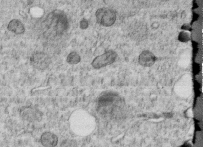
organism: C. elegans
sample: C. elegans embryo early stage